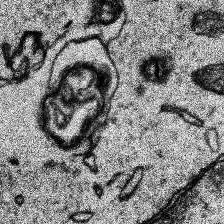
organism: Human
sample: Temporal Lobe